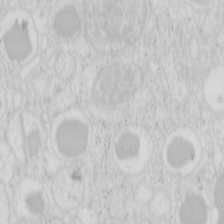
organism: Mouse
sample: Pancreas